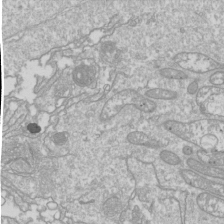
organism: Drosophila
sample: Cell division; meiosis; drosophila spermatocytes